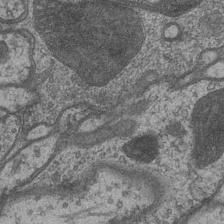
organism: Drosophila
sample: Optic medulla